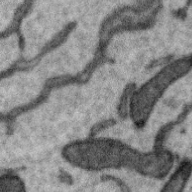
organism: Zebra finch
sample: Brain